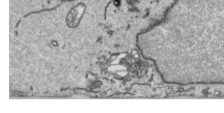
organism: Human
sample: Mitochondria in HCT116 cells